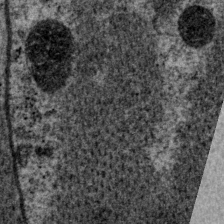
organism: P. pacificus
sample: Pharynx